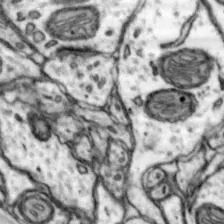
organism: Mouse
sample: Nucleus accumbens